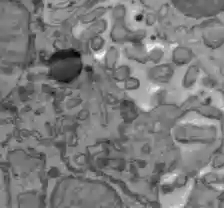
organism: C57BL Mouse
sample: Liver